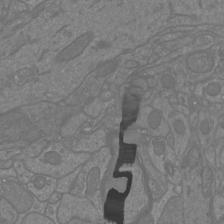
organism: Mouse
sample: Cortical neurons